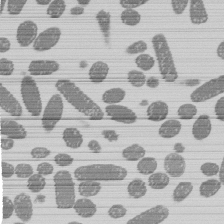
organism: E. coli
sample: Bacterial nucleoid